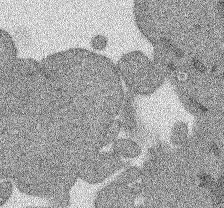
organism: Human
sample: HeLa cells